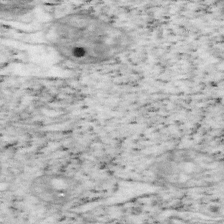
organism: Mouse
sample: OT-I killer T cells with ID8 ovarian cancer cells